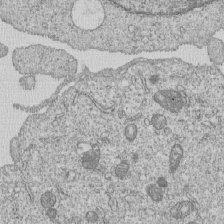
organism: Human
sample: MDA-MB-231 cells